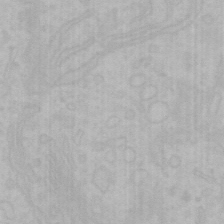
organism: Mouse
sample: Choroid plexus